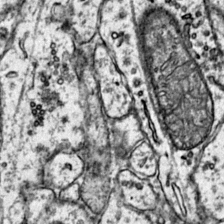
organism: Mouse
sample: Primary visual cortex